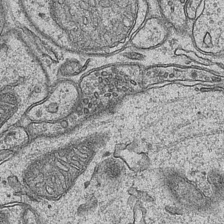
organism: Mouse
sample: CA1 Hippocampus